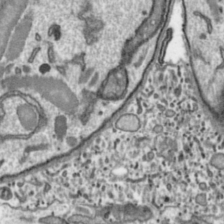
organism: Toxoplasma gondii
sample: Parasites in a vacuole inside a host cell